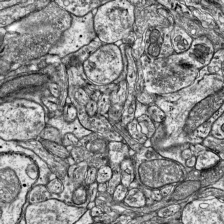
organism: Mouse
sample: Visual Cortex